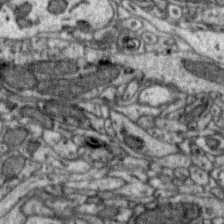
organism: Zebra finch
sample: Brain